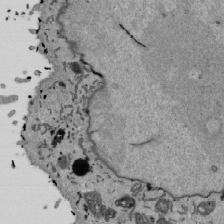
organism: Mouse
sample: ED-1 cell nuclei; centrioles